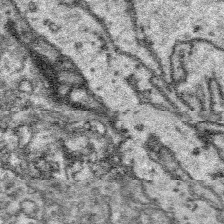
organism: Platynereis dumerilii